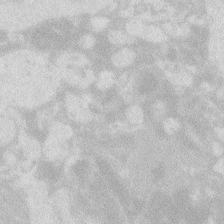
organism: Zebrafish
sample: Macrophage